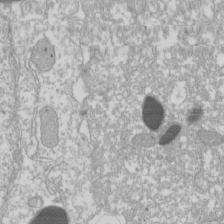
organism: Xenopus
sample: Cilia; centrioles in frog embryo cells